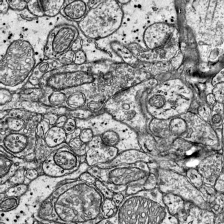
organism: Mouse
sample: Visual Cortex